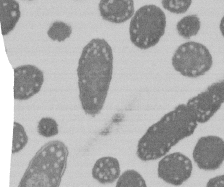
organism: E. coli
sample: Bacterial nucleoid